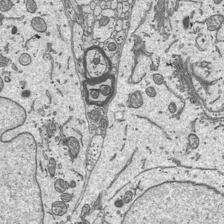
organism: Mouse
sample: Suprachiasmatic nucleus